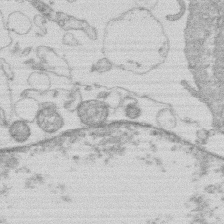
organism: Human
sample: Macrophage cells